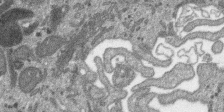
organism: Human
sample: Lung epithelial cells infected with SARS-CoV-2